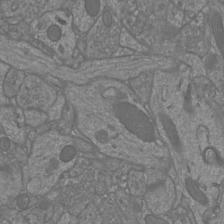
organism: Mouse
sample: Cortical neurons